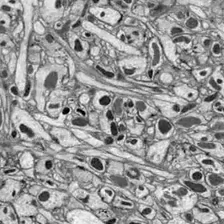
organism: Drosophila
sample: Optic lobe